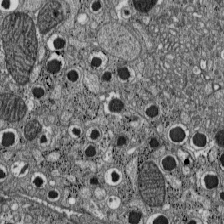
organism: C57BL Mouse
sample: Pancreatic islet